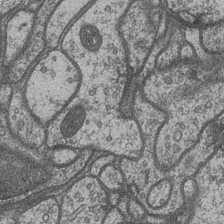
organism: Drosophila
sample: Optic medulla